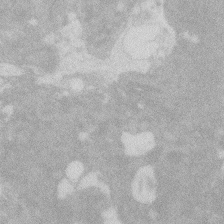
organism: Zebrafish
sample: Macrophage